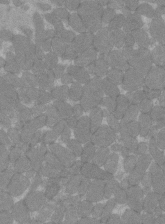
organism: C57BL Mouse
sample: Tibialis anterior muscle cell